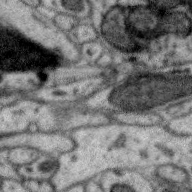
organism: Zebra finch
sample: Brain